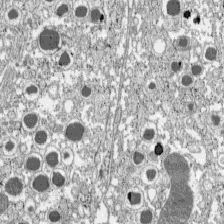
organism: C57BL Mouse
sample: Pancreatic islet